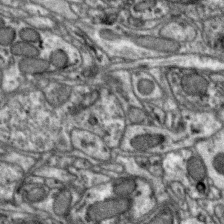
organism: Zebra finch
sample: Brain